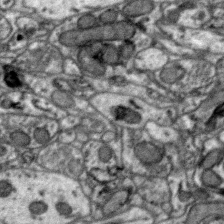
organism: Zebra finch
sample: Brain